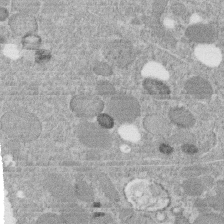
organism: C. elegans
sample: C. elegans embryo early stage